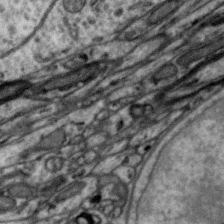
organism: Zebra finch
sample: Brain